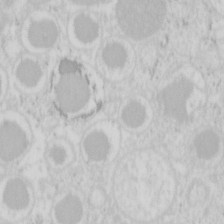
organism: Mouse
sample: Pancreas